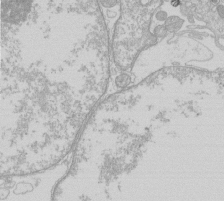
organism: Human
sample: Macrophage cells